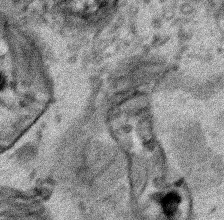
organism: Human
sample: Mitochondria in HCT116 cells